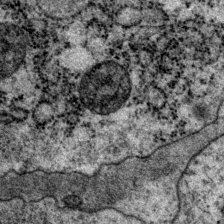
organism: P. pacificus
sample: Pharynx